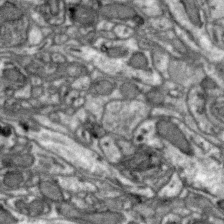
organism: Zebra finch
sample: Brain